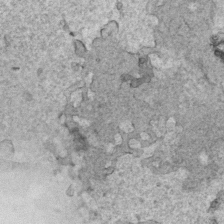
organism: Human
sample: Mitochondria in HCT116 cells